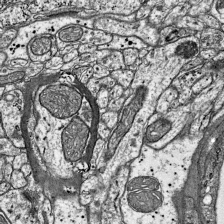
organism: Mouse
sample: Visual Cortex